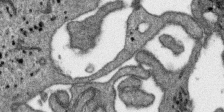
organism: Human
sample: Lung epithelial cells, uninfected (mock) control